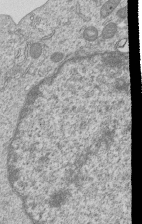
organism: Human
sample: MDA-MB-231 cells